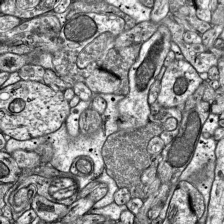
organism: Mouse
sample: Visual Cortex